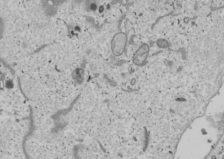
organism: Human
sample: Mitochondria in U2OS cells